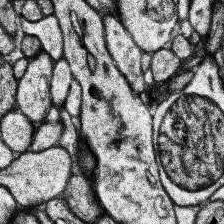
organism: Human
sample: Temporal Lobe